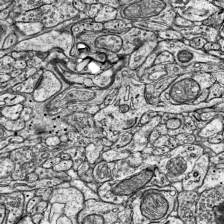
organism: Mouse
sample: Visual Cortex